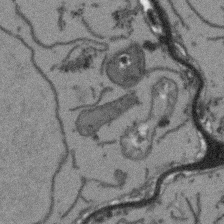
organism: Arabidopsis thaliana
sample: Root tip